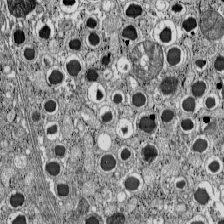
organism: C57BL Mouse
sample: Pancreatic islet